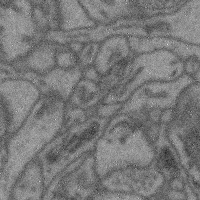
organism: Mouse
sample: Cerebral cortex